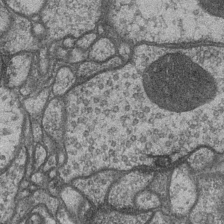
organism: Drosophila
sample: Optic medulla